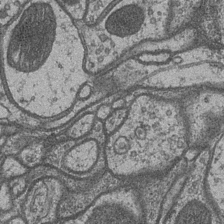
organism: Drosophila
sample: Optic medulla